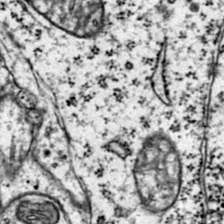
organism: Mouse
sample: Primary visual cortex